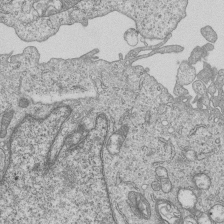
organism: Human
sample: MDA-MB-231 cells